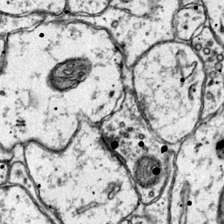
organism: Mouse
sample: Primary visual cortex